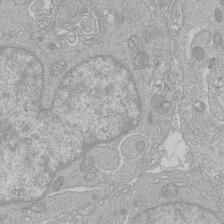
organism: Human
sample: Macrophage cells